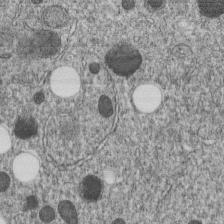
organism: C. elegans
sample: C. elegans embryo early stage